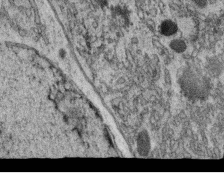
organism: C. elegans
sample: C. elegans oocyte; sperm cells